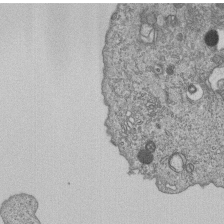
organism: Human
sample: MDA-MB-231 cells